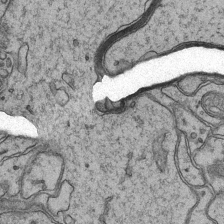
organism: Mouse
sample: CA1 Hippocampus